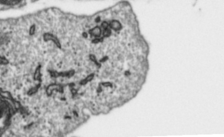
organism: Toxoplasma gondii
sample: Parasites in a vacuole inside a host cell